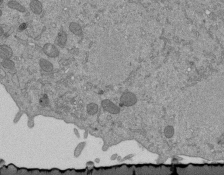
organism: Mouse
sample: ED-1 cell nuclei; centrioles